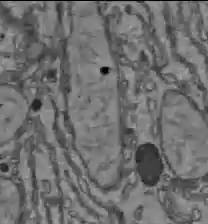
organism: C57BL Mouse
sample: Liver